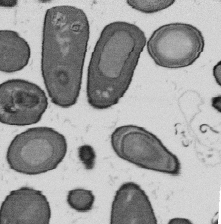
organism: B. subtilis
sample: Bacterial spore